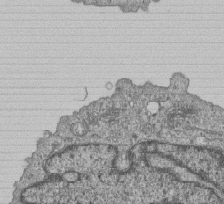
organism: Human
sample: MDA-MB-231 cells